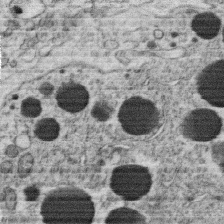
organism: C. elegans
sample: C. elegans oocyte; sperm cells